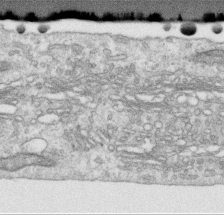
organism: Human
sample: Centriole in RPE cells